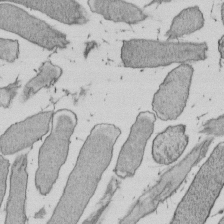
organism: E. coli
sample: Bacterial nucleoid